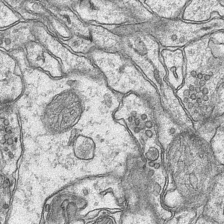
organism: Mouse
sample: CA1 Hippocampus